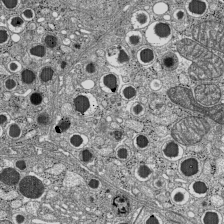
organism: C57BL Mouse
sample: Pancreatic islet